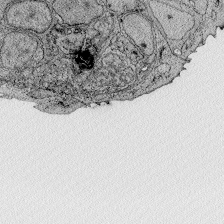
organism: Zebrafish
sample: Whole-Brain